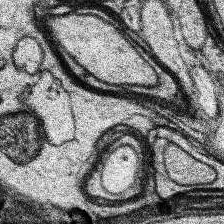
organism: Human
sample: Temporal Lobe